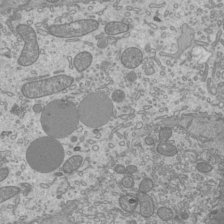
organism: Mouse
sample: Cilia; mouse epididymis